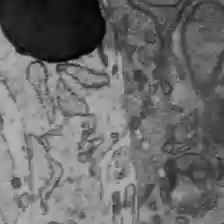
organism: C57BL Mouse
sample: Liver